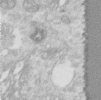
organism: Human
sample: Centriole in RPE cells